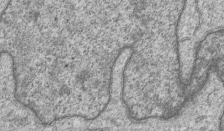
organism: Human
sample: MDA-MB-231 cells